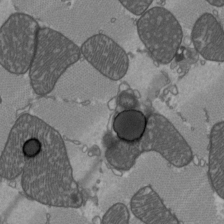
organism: C57BL Mouse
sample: Heart